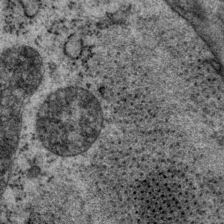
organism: P. pacificus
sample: Pharynx